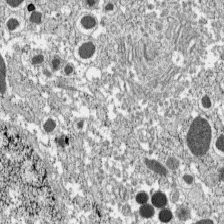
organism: C57BL Mouse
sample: Pancreatic islet